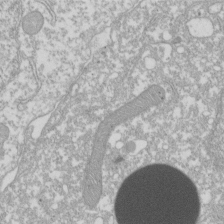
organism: Xenopus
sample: Cilia; centrioles in frog embryo cells